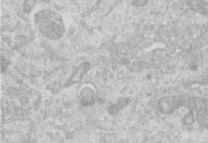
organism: Human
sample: Centriole in RPE cells